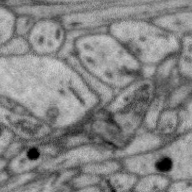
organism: Zebra finch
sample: Brain